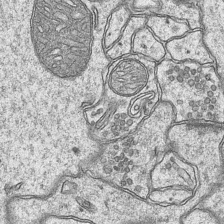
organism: Mouse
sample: CA1 Hippocampus